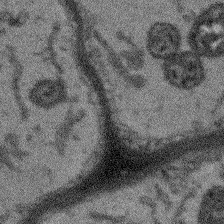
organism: Arabidopsis thaliana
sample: Root tip